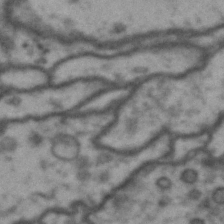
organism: Drosophila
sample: Brain